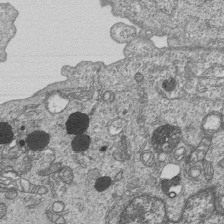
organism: Human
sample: MDA-MB-231 cells